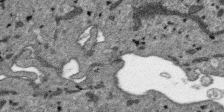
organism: Human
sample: Lung epithelial cells, uninfected (mock) control